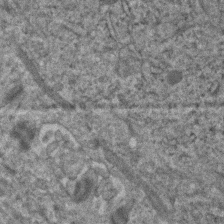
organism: Human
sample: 1205lu cells